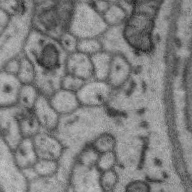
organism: Zebra finch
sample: Brain